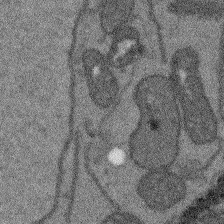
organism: Arabidopsis thaliana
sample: Root tip